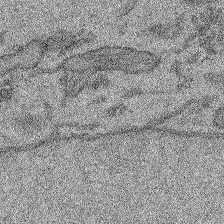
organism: Human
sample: HeLa cells